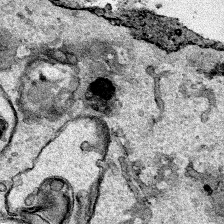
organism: Human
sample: Mitochondria in HCT116 cells